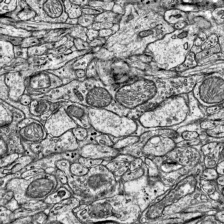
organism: Mouse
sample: Visual Cortex